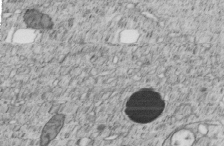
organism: C. elegans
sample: C. elegans embryo early stage